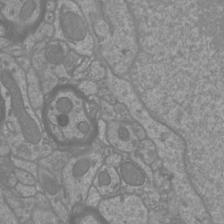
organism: Mouse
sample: Cortical neurons